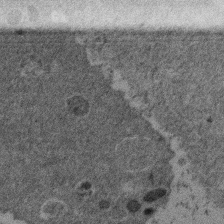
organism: Mouse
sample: Dividing mouse embryo 1 cell stage